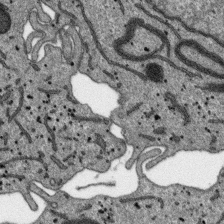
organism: Human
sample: Lung epithelial cells, uninfected (mock) control